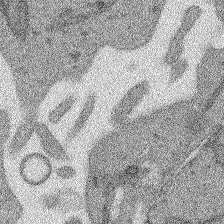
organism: Human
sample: HeLa cells